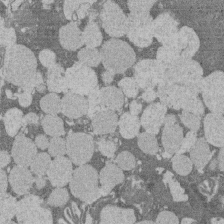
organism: Rat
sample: Salivary granule